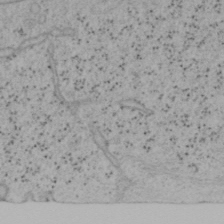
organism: Human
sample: HeLa cells